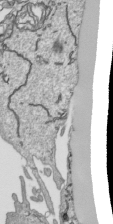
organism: Human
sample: Mitochondria in HCT116 cells